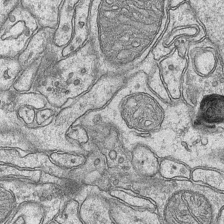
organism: Mouse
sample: CA1 Hippocampus